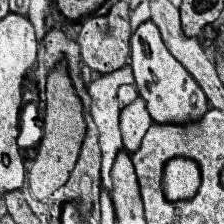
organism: Human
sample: Temporal Lobe